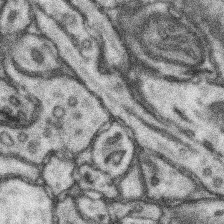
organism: Mouse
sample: Somatosensory cortex neuropil